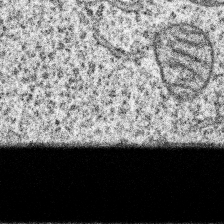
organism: Human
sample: HeLa cells